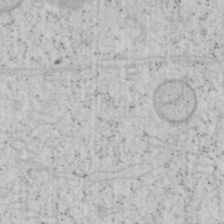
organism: Human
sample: HeLa cells